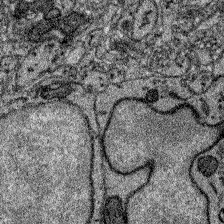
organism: Zebrafish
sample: Larval olfactory bulb